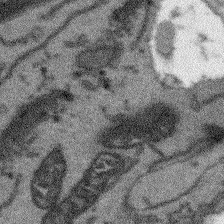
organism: Arabidopsis thaliana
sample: Root tip